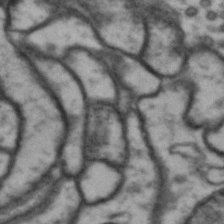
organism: Drosophila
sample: Brain